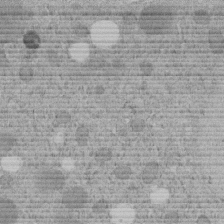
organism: C. elegans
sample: C. elegans embryo early stage